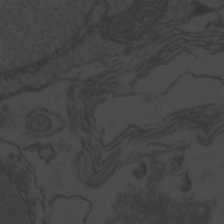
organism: Zebrafish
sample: Macrophage infected with Toxoplasma gondii